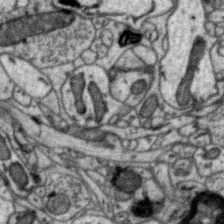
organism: Zebra finch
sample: Brain